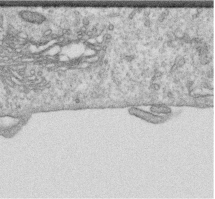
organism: Human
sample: Centriole in RPE cells